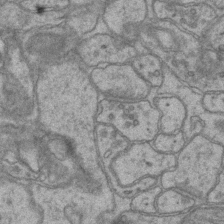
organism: Mouse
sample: CA1 Hippocampus